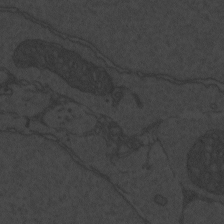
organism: Zebrafish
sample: Macrophage infected with Toxoplasma gondii